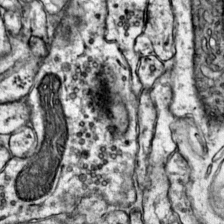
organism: Mouse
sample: Primary visual cortex